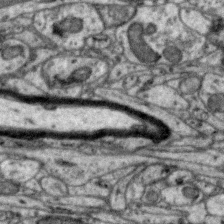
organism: Zebra finch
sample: Brain